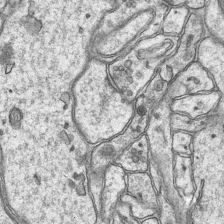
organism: Mouse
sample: CA1 Hippocampus